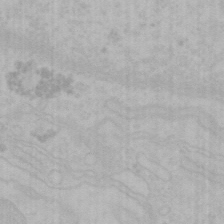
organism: Mouse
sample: Choroid plexus